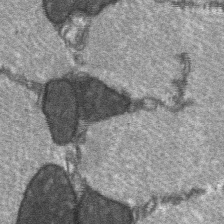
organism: C57BL Mouse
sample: Soleus